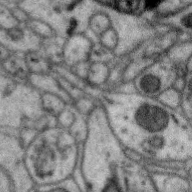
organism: Zebra finch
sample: Brain